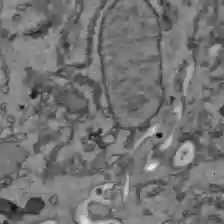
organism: C57BL Mouse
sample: Liver